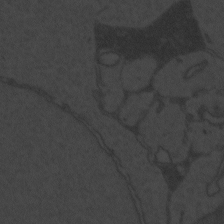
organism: Zebrafish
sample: Macrophage infected with Toxoplasma gondii